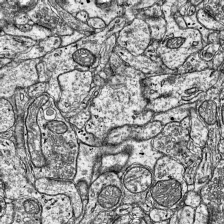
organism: Mouse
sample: Visual Cortex